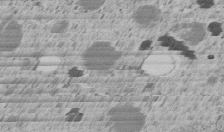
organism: C. elegans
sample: C. elegans embryo early stage